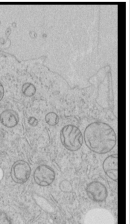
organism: Human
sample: Mitochondria in HCT116 cells